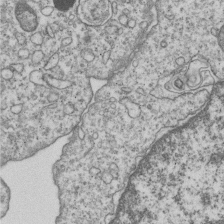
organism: Human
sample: MDA-MB-231 cells